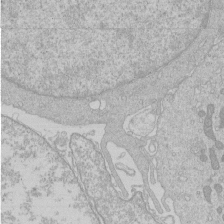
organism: Human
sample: Macrophage cells